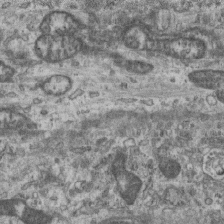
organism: Mouse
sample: Centriole in ependymal cells